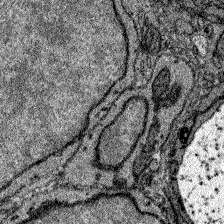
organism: Zebrafish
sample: Larval olfactory bulb